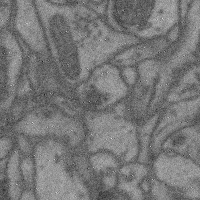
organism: Mouse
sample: Cerebral cortex